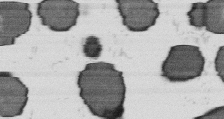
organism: B. subtilis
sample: Bacterial spore